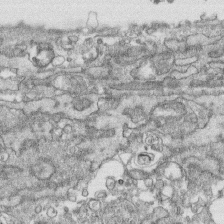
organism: Human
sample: CRL-1474